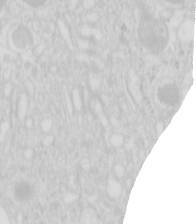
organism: Mouse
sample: Pancreas